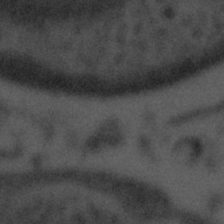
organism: Tuwongella immobilis